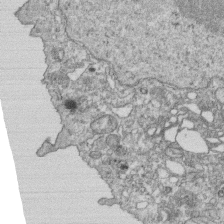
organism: Human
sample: HeLa cell HIV synapse